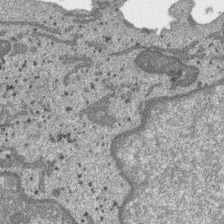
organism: Human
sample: Lung epithelial cells infected with SARS-CoV-2